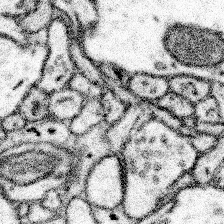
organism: Mouse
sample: Somatosensory cortex neuropil